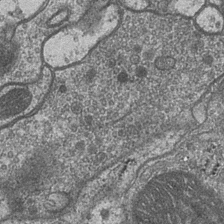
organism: Drosophila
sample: Optic medulla